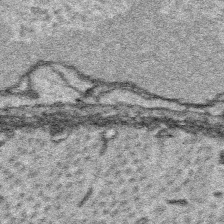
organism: Platynereis dumerilii